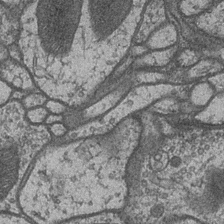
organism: Drosophila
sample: Optic medulla